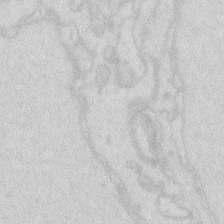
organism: Zebrafish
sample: Macrophage